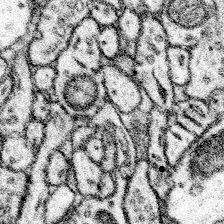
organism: Mouse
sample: Somatosensory cortex neuropil